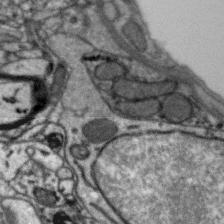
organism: Zebra finch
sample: Brain